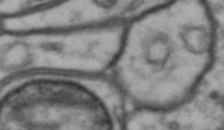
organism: Drosophila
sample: Brain